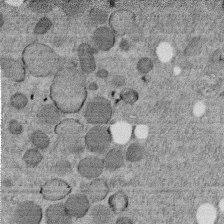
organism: C. elegans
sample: C. elegans embryo early stage